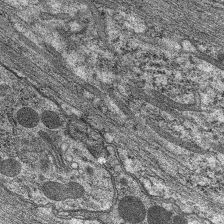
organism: C. elegans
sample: Pharynx